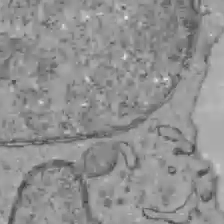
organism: C57BL Mouse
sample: Liver